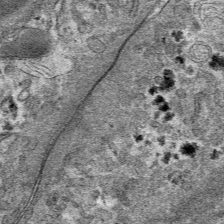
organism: Mouse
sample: Mouse hepatocytes